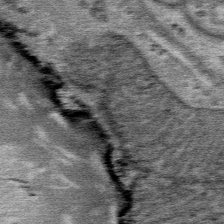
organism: Mouse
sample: Mouse Salivary gland